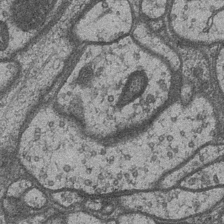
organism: Drosophila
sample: Optic medulla